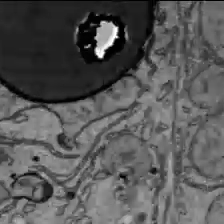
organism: C57BL Mouse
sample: Liver